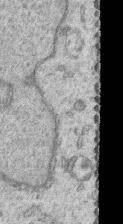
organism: Human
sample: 1205lu cells